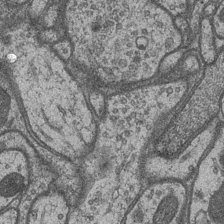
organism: Drosophila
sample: Optic medulla